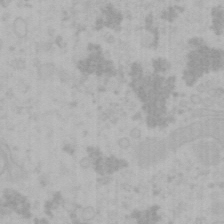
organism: Mouse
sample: Choroid plexus